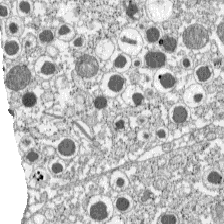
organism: C57BL Mouse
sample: Pancreatic islet